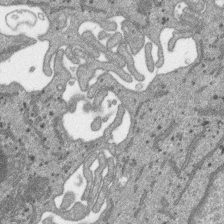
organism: Human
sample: Lung epithelial cells infected with SARS-CoV-2